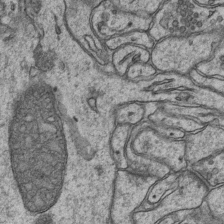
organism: Mouse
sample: CA1 Hippocampus